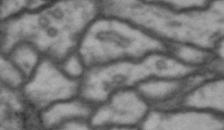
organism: Drosophila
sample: Brain